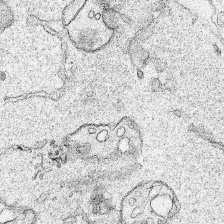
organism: Human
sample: Mitochondria in HCT116 cells